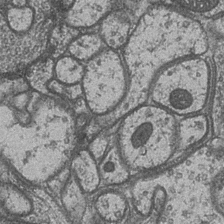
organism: Drosophila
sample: Optic medulla